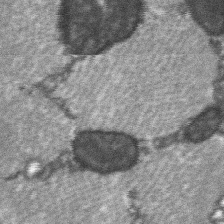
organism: C57BL Mouse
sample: Soleus